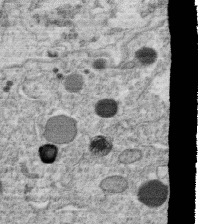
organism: C. elegans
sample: C. elegans oocyte; sperm cells